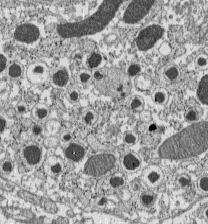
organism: C57BL Mouse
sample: Pancreatic islet